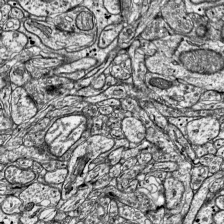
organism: Mouse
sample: Visual Cortex